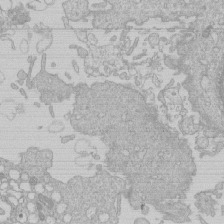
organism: Human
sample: Macrophage cells